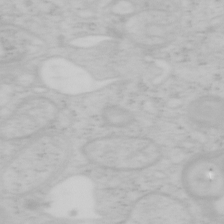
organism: Mouse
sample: OT-I killer T cells with ID8 ovarian cancer cells